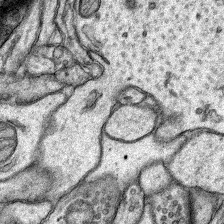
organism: Rat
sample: Hippocampus